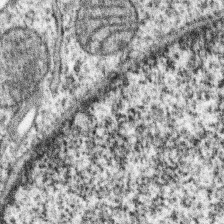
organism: Human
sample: HeLa cells